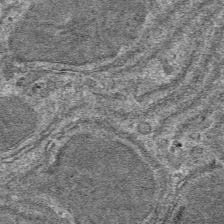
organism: Mouse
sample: Mouse hepatocytes